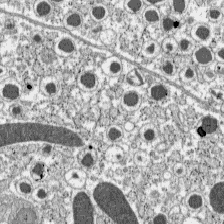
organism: C57BL Mouse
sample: Pancreatic islet